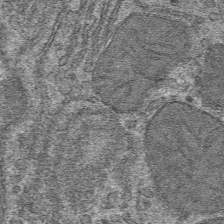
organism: Mouse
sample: Mouse hepatocytes